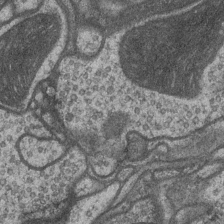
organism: Drosophila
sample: Optic medulla